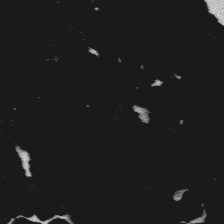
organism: Platynereis dumerilii